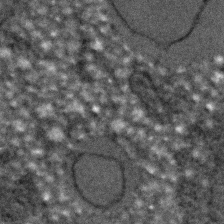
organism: C. elegans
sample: C. elegans embryo